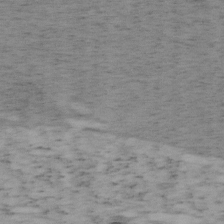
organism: Mouse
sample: OT-I killer T cells with ID8 ovarian cancer cells